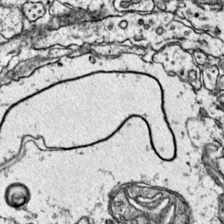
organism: Mouse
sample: Primary visual cortex